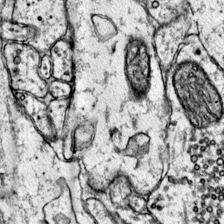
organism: Mouse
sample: Primary visual cortex